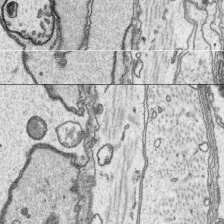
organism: Platynereis dumerilii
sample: Parapodia